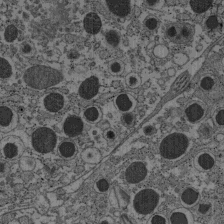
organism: C57BL Mouse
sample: Pancreatic islet